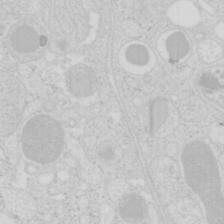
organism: Mouse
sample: Pancreas